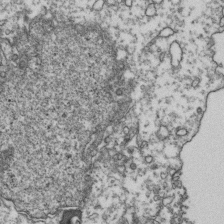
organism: Human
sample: Activated Jurkat CD4+ T cells